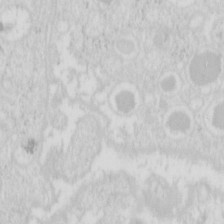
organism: Mouse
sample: Pancreas